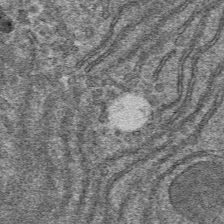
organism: Mouse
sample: Mouse hepatocytes